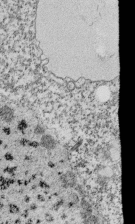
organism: Tetrahymena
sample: Cilia in tetrahymena